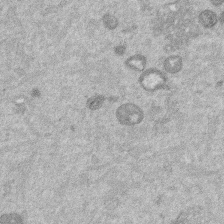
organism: Mouse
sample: Dividing mouse embryo 1 cell stage